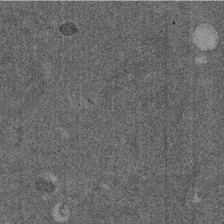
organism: Mouse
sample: Dividing mouse embryo 1 cell stage